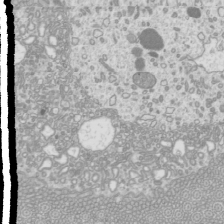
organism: Mouse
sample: Cilia; mouse epididymis